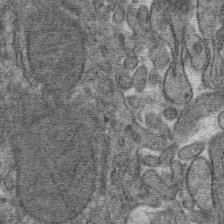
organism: Mouse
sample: Mouse hepatocytes